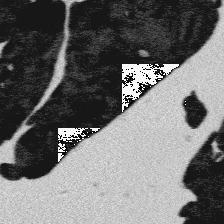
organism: Platynereis dumerilii